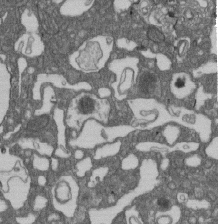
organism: Drosophila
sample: Nephrocyte